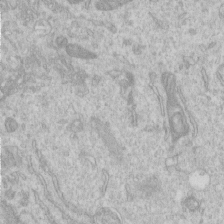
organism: Human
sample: Centriole in RPE cells